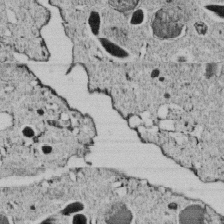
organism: C. elegans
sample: C. elegans embryo early stage